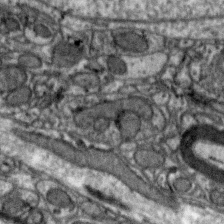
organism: Zebra finch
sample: Brain